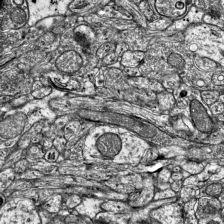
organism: Mouse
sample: Visual Cortex